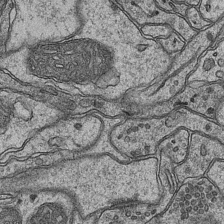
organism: Mouse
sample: CA1 Hippocampus